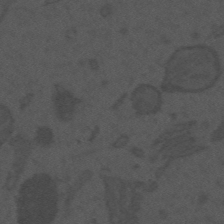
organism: Mouse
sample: Suprachiasmatic nucleus